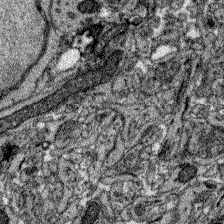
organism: Zebrafish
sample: Larval olfactory bulb